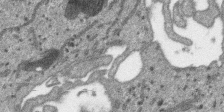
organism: Human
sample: Lung epithelial cells infected with SARS-CoV-2